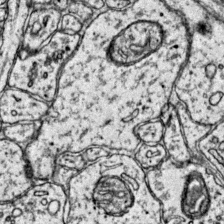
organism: Mouse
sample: Primary visual cortex